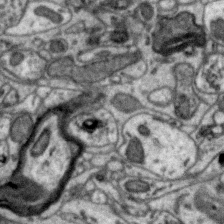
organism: Zebra finch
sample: Brain